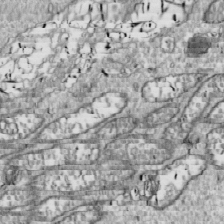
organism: Drosophila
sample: Cell division; meiosis; drosophila spermatocytes